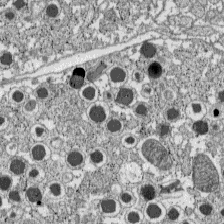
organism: C57BL Mouse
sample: Pancreatic islet